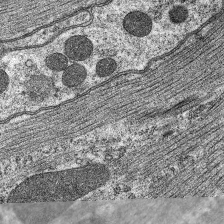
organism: C. elegans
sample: Pharynx